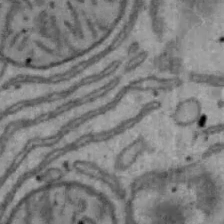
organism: Mouse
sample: Liver